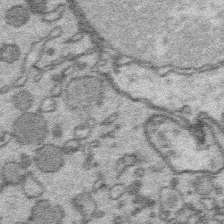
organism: Platynereis dumerilii